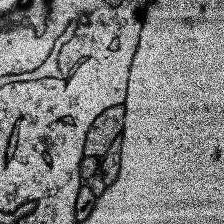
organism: Human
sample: Temporal Lobe